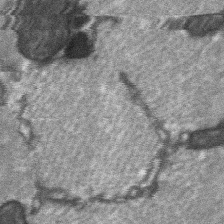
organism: C57BL Mouse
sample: Soleus